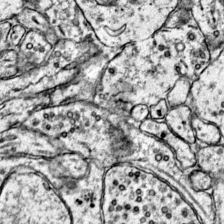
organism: Mouse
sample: Primary visual cortex